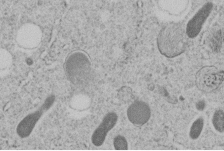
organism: C. elegans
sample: C. elegans embryo early stage